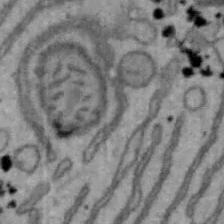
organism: Mouse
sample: Liver